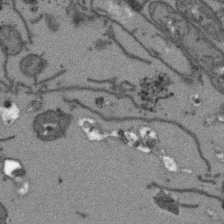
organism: Arabidopsis thaliana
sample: Root tip